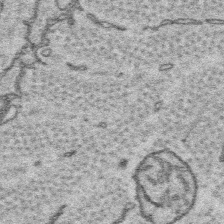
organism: Platynereis dumerilii